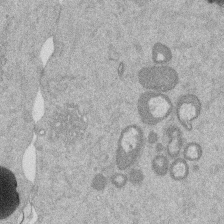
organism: Mouse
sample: Dividing mouse embryo 1 cell stage